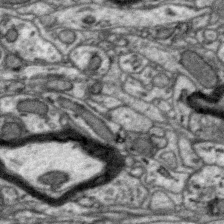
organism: Zebra finch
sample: Brain